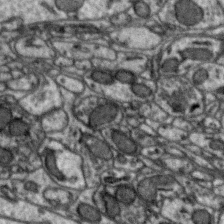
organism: Zebra finch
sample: Brain